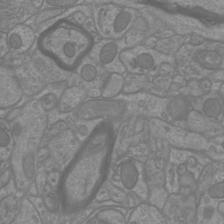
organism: Mouse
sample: Cortical neurons